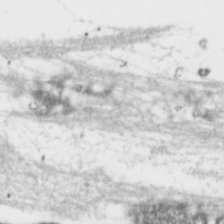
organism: Toxoplasma gondii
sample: Parasites in a vacuole inside a host cell